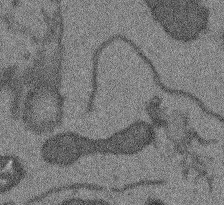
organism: Arabidopsis thaliana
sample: Root tip